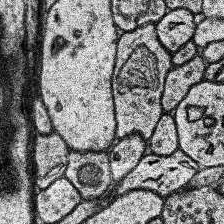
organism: Human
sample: Temporal Lobe